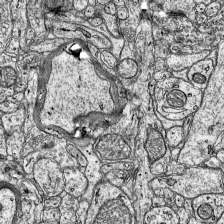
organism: Mouse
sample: Visual Cortex